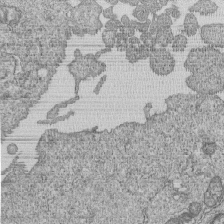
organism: Human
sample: MDA-MB-231 cells